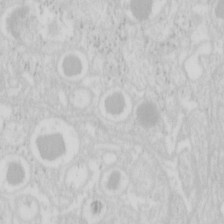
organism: Mouse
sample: Pancreas